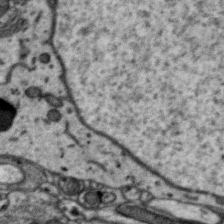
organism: Zebra finch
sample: Brain